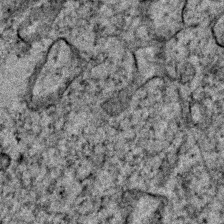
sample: Trachea